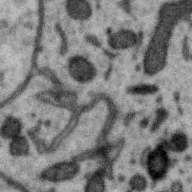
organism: Zebra finch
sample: Brain